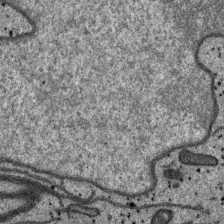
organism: Human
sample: Lung epithelial cells, uninfected (mock) control